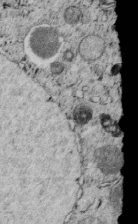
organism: C. elegans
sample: C. elegans embryo early stage